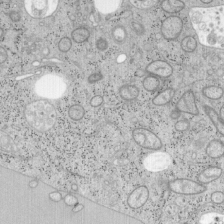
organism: Mouse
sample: OT-I killer T cells with ID8 ovarian cancer cells